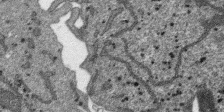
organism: Human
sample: Lung epithelial cells infected with SARS-CoV-2